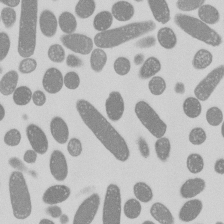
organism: E. coli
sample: Bacterial nucleoid